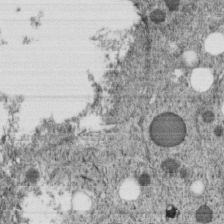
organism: C. elegans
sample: C. elegans embryo early stage